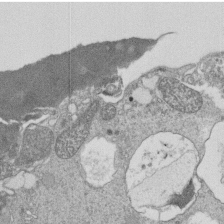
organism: Tetrahymena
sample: Cilia in tetrahymena